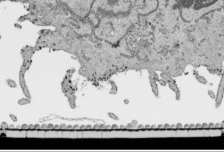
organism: Human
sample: Mitochondria in HCT116 cells